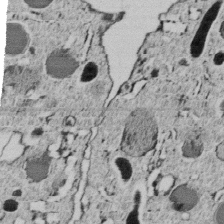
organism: C. elegans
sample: C. elegans embryo early stage